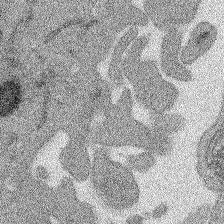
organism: Human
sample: HeLa cells